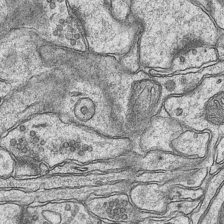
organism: Mouse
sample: CA1 Hippocampus